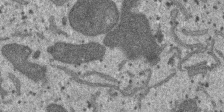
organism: Human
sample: Lung epithelial cells infected with SARS-CoV-2